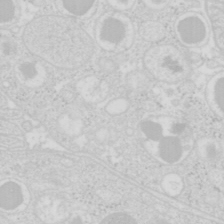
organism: Mouse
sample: Pancreas